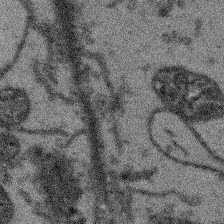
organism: Arabidopsis thaliana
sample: Root tip